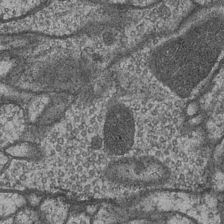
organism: Drosophila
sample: Optic medulla